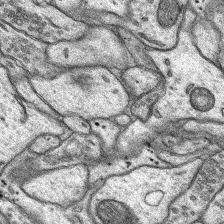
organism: Rat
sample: Hippocampus